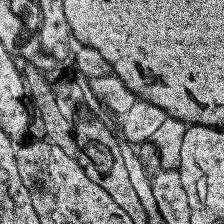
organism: Human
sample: Temporal Lobe